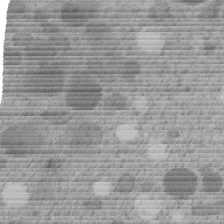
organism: C. elegans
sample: C. elegans embryo early stage